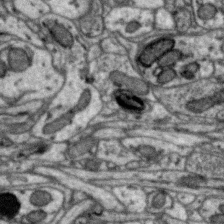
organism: Zebra finch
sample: Brain